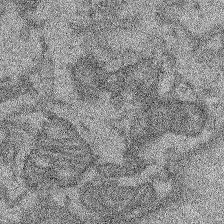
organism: Human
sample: HeLa cells